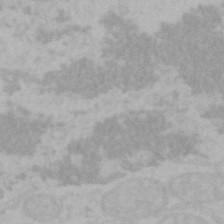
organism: Mouse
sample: Choroid plexus